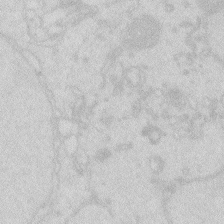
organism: Zebrafish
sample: Macrophage